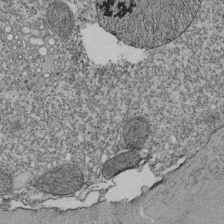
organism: Tetrahymena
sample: Cilia in tetrahymena